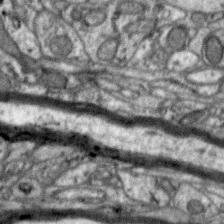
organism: Zebra finch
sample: Brain